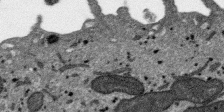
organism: Human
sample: Lung epithelial cells, uninfected (mock) control